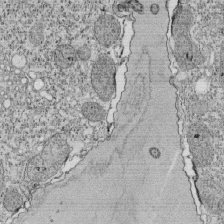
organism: Tetrahymena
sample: Cilia in tetrahymena